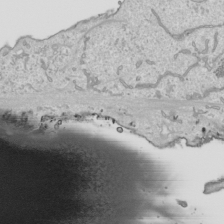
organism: Human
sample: Mitochondria in HCT116 cells